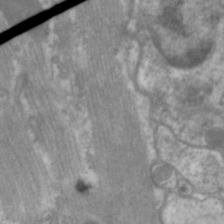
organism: C. elegans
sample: Pharynx